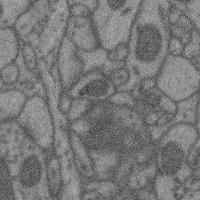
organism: Mouse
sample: Cerebral cortex